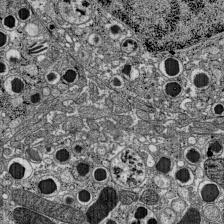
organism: C57BL Mouse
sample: Pancreatic islet